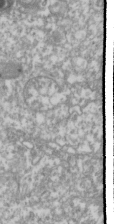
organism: Drosophila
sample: Cell division; meiosis; drosophila spermatocytes